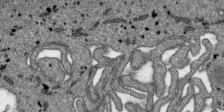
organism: Human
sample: Lung epithelial cells, uninfected (mock) control